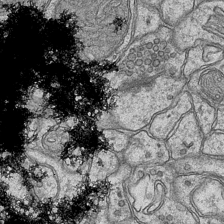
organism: Mouse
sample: CA1 Hippocampus